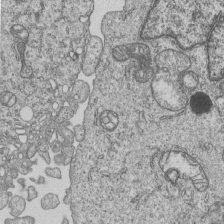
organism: Human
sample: MDA-MB-231 cells